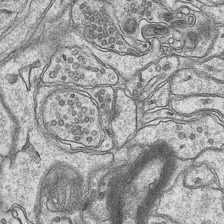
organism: Mouse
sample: CA1 Hippocampus